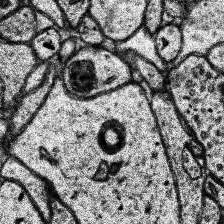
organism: Human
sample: Temporal Lobe